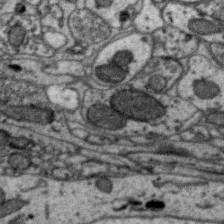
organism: Zebra finch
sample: Brain